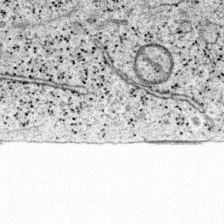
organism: Human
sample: HeLa cells